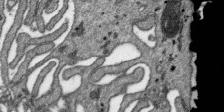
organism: Human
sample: Lung epithelial cells, uninfected (mock) control